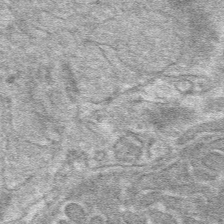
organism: Mouse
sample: Mouse hepatocytes